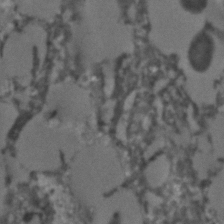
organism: C. elegans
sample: C. elegans embryo